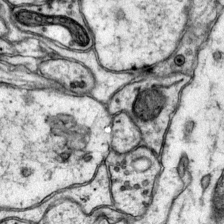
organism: Mouse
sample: Primary visual cortex